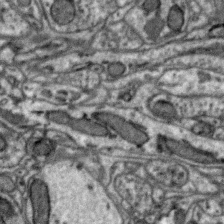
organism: Zebra finch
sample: Brain